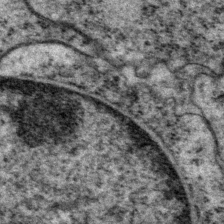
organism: P. pacificus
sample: Pharynx